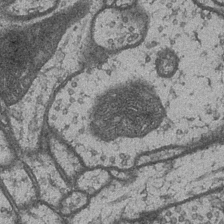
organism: Drosophila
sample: Optic medulla